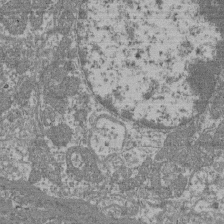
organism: Mouse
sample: Glomerulus